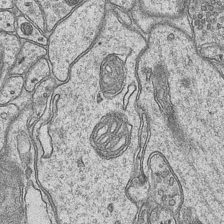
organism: Mouse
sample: CA1 Hippocampus